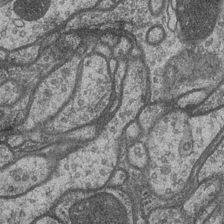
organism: Drosophila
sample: Optic medulla